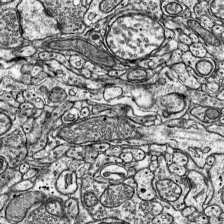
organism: Mouse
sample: Visual Cortex